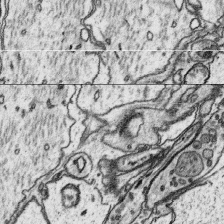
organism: Platynereis dumerilii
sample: Parapodia